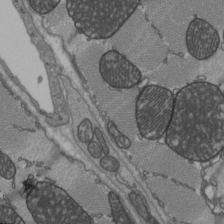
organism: C57BL Mouse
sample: Heart